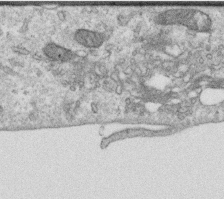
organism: Human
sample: Centriole in RPE cells